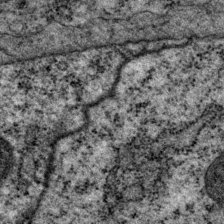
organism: P. pacificus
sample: Pharynx